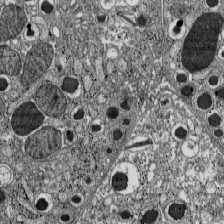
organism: C57BL Mouse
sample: Pancreatic islet